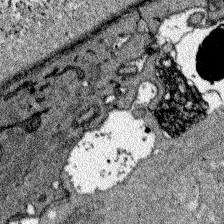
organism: Zebrafish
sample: Larval olfactory bulb